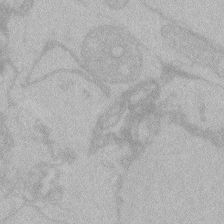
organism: Zebrafish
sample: Macrophage infected with Toxoplasma gondii